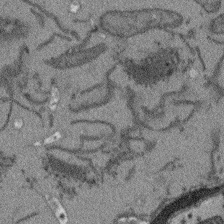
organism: Arabidopsis thaliana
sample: Root tip